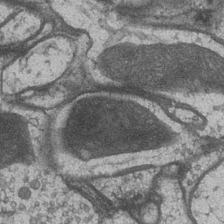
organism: Drosophila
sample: Optic medulla